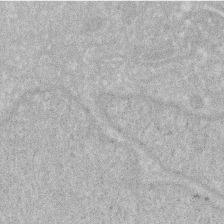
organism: Human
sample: HIV infected U937 cells